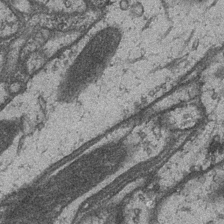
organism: Drosophila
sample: Optic medulla